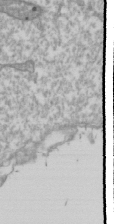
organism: Drosophila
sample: Cell division; meiosis; drosophila spermatocytes